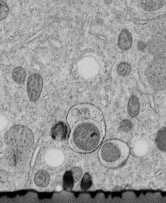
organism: C. elegans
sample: C. elegans embryo early stage